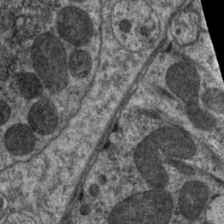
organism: C. elegans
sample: Pharynx